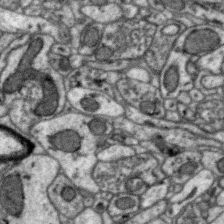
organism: Zebra finch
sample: Brain